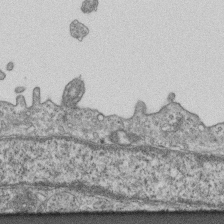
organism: Mouse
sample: Centriole in ependymal cells